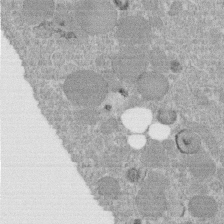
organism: C. elegans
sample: C. elegans embryo early stage